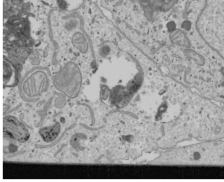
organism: Human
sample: Mitochondria in U2OS cells